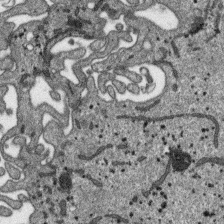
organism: Human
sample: Lung epithelial cells infected with SARS-CoV-2